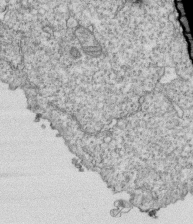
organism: Human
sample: HeLa cell HIV synapse